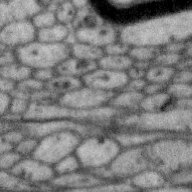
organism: Zebra finch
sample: Brain